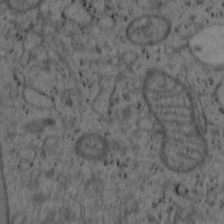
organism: Human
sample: HeLa cells